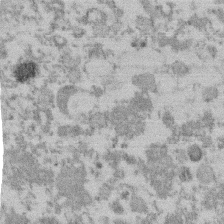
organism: Mouse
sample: Dividing mouse embryo 1 cell stage